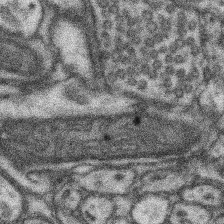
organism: Mouse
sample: Somatosensory cortex neuropil